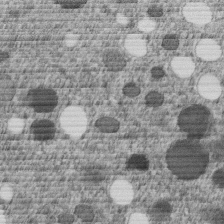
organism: C. elegans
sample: C. elegans embryo early stage